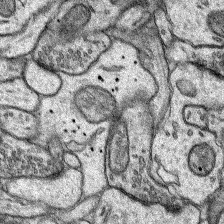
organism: Rat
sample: Hippocampus